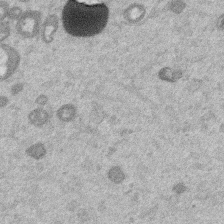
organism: Mouse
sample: Dividing mouse embryo 1 cell stage